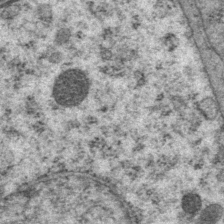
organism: P. pacificus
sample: Pharynx